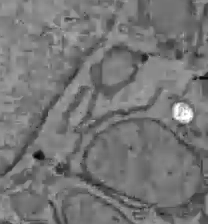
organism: C57BL Mouse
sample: Liver